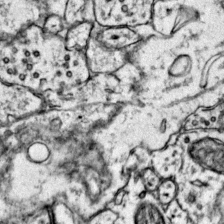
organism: Mouse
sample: Primary visual cortex